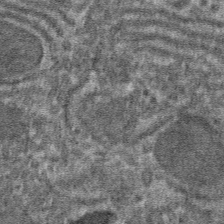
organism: Mouse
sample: Mouse hepatocytes